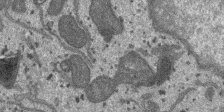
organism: Human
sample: Lung epithelial cells infected with SARS-CoV-2